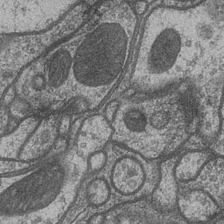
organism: Drosophila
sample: Optic medulla